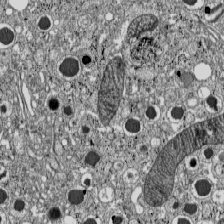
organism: C57BL Mouse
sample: Pancreatic islet